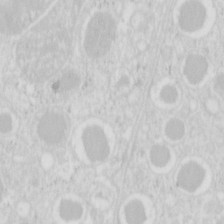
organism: Mouse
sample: Pancreas